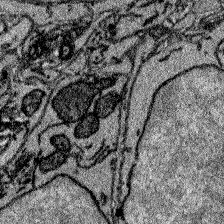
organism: Zebrafish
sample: Larval olfactory bulb